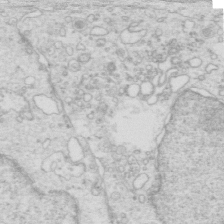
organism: Mouse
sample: Multiciliated cells